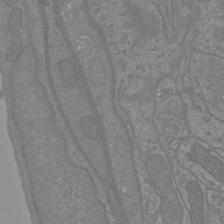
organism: Mouse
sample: Cortical neurons